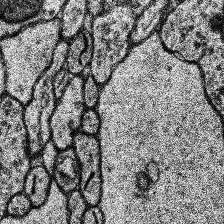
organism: Human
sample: Temporal Lobe